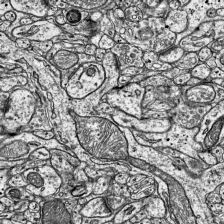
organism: Mouse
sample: Visual Cortex